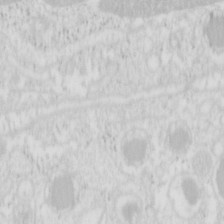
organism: Mouse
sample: Pancreas